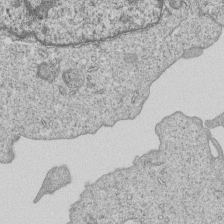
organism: Human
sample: MDA-MB-231 cells